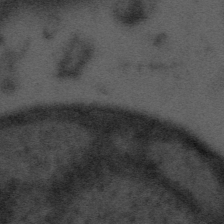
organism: Tuwongella immobilis